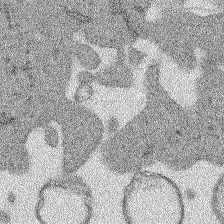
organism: Human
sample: HeLa cells